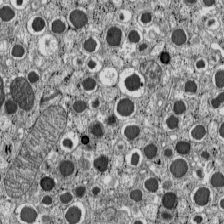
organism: C57BL Mouse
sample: Pancreatic islet